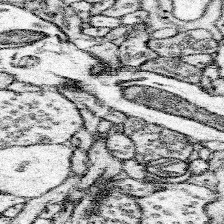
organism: Mouse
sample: Somatosensory cortex neuropil